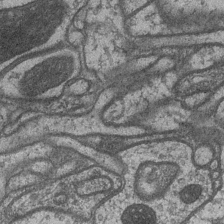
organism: Drosophila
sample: Optic medulla